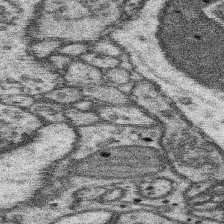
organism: Mouse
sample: Somatosensory cortex neuropil